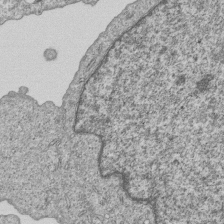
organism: Human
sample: MDA-MB-231 cells